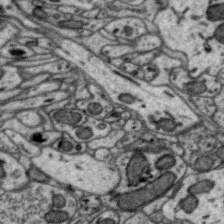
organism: Zebra finch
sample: Brain